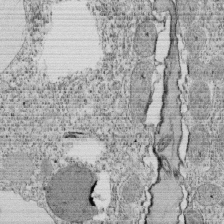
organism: Tetrahymena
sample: Cilia in tetrahymena